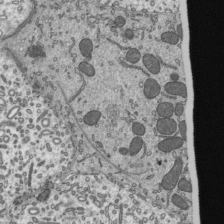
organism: Mouse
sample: Mouse epididymis efferent ductule cilia